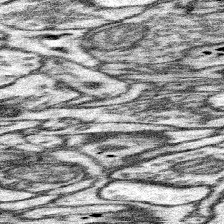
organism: Mouse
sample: Somatosensory cortex neuropil